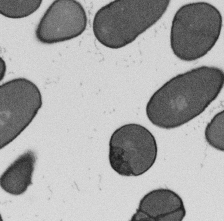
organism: B. subtilis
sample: Bacterial spore